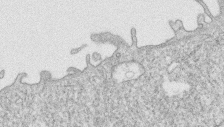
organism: Human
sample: HeLa cell HIV synapse